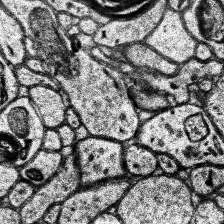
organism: Human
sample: Temporal Lobe